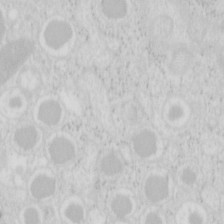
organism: Mouse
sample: Pancreas